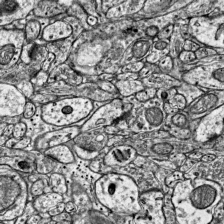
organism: Mouse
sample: Visual Cortex